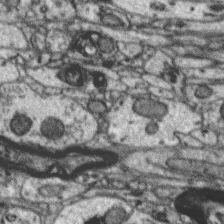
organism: Zebra finch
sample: Brain